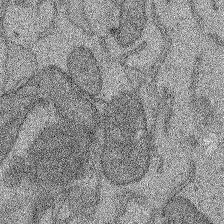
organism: Human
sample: HeLa cells